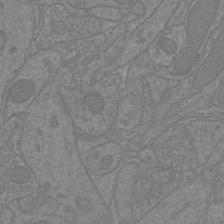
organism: Mouse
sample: Cortical neurons